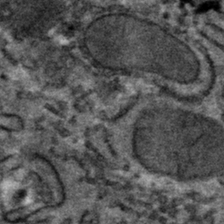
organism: Mouse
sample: Mouse hepatocytes